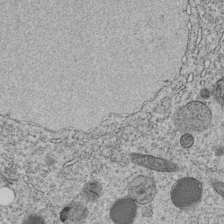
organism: C. elegans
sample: C. elegans embryo early stage